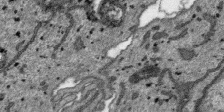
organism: Human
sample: Lung epithelial cells, uninfected (mock) control